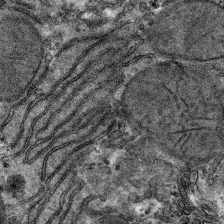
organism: Mouse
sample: Mouse hepatocytes